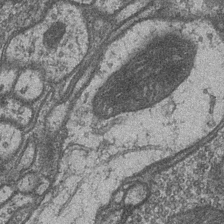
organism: Drosophila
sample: Optic medulla